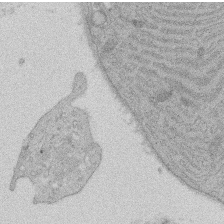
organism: Rat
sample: Salivary granule